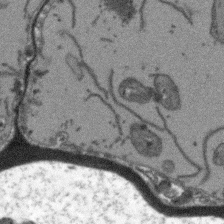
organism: Arabidopsis thaliana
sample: Root tip